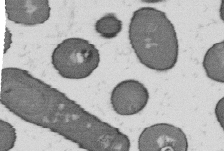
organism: B. subtilis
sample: Bacterial spore